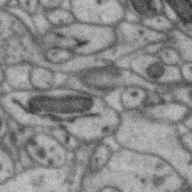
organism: Zebra finch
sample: Brain